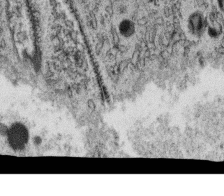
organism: C. elegans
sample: C. elegans oocyte; sperm cells